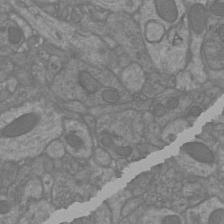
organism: Mouse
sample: Cortical neurons